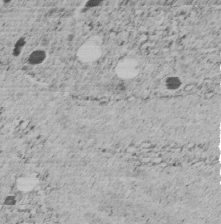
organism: C. elegans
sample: C. elegans embryo early stage